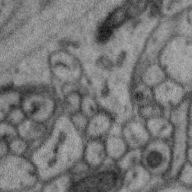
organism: Zebra finch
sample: Brain